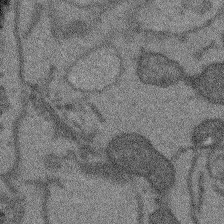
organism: Arabidopsis thaliana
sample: Root tip